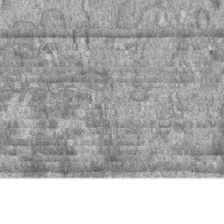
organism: Zebrafish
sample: Cilia; retinal pigment epithelium